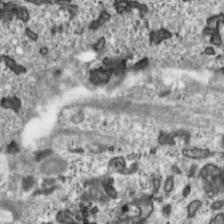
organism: Toxoplasma gondii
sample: Parasites in a vacuole inside a host cell